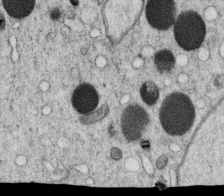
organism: C. elegans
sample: C. elegans oocyte; sperm cells